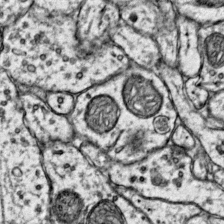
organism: Mouse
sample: Primary visual cortex